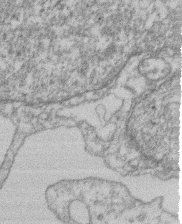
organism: Mouse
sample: T cell stromal cell synapse